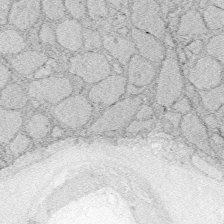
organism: Zebrafish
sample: Whole-Brain